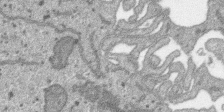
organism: Human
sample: Lung epithelial cells infected with SARS-CoV-2